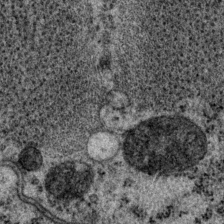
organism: P. pacificus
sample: Pharynx